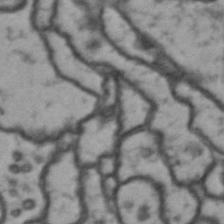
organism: Drosophila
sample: Brain